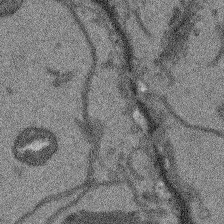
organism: Arabidopsis thaliana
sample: Root tip